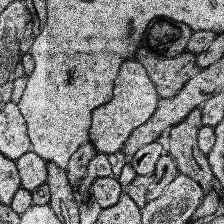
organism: Human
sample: Temporal Lobe